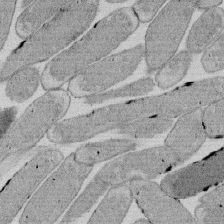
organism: E. coli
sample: Bacterial nucleoid